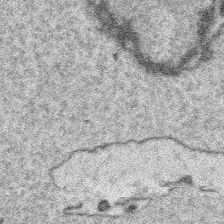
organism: Platynereis dumerilii